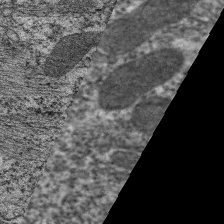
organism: C. elegans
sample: Pharynx